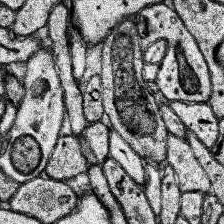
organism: Human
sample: Temporal Lobe